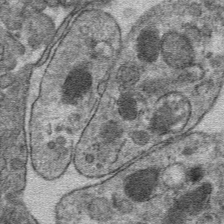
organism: Mouse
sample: Mouse hepatocytes